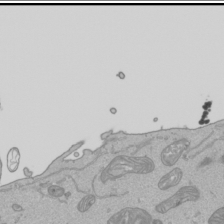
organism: Human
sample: Mitochondria in HCT116 cells